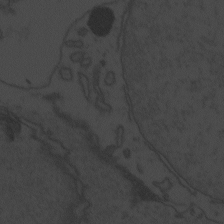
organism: Zebrafish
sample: Macrophage infected with Toxoplasma gondii